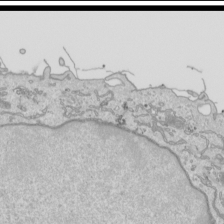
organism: Human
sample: Mitochondria in HCT116 cells